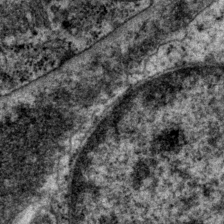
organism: P. pacificus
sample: Pharynx